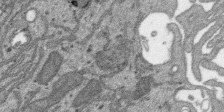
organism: Human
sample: Lung epithelial cells infected with SARS-CoV-2